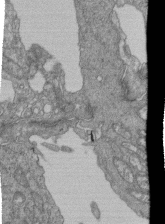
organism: Human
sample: Retinal organoid Rod and Cone cells